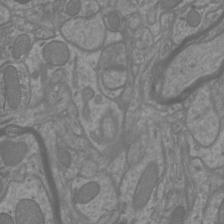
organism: Mouse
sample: Cortical neurons